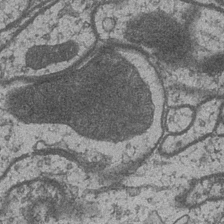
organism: Drosophila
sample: Optic medulla